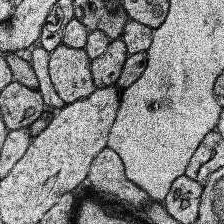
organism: Human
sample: Temporal Lobe